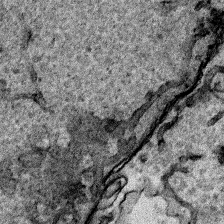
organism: Human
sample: Mitochondria in HCT116 cells